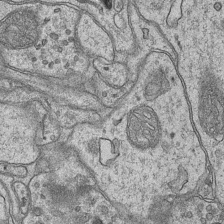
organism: Mouse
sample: CA1 Hippocampus